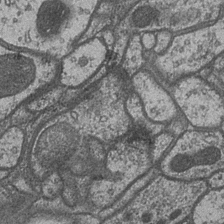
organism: Drosophila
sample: Optic medulla